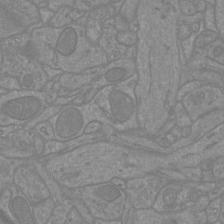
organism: Mouse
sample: Cortical neurons